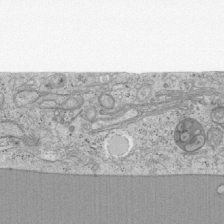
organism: Human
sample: HeLa cells